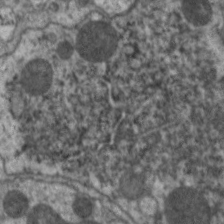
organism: C. elegans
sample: Pharynx